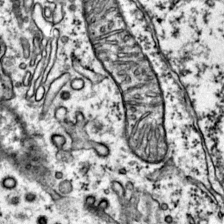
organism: Mouse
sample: Primary visual cortex